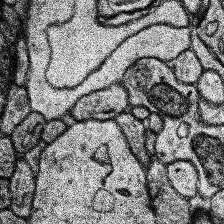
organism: Human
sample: Temporal Lobe